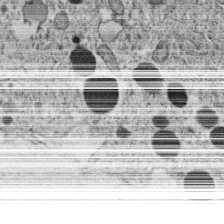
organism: C. elegans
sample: C. elegans oocyte; sperm cells